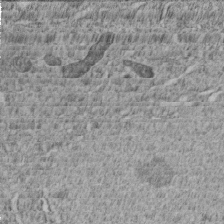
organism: C. elegans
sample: C. elegans embryo early stage